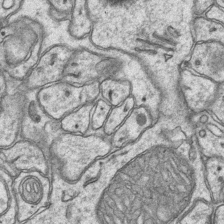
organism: Mouse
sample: CA1 Hippocampus